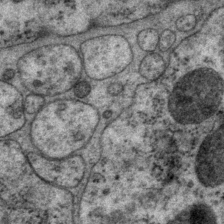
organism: P. pacificus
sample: Pharynx